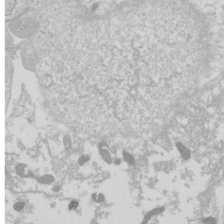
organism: Drosophila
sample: Cell division; meiosis; drosophila spermatocytes